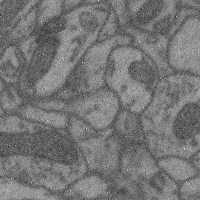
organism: Mouse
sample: Cerebral cortex